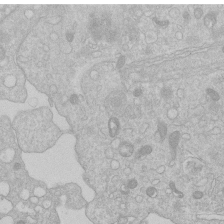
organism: Human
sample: Macrophage cells